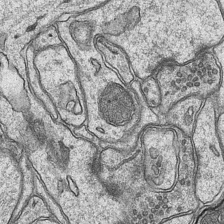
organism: Mouse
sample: CA1 Hippocampus